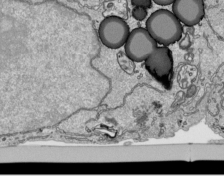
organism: Human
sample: Mitochondria in HCT116 cells